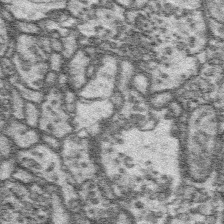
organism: Platynereis dumerilii